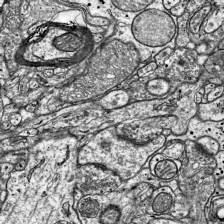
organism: Mouse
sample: Visual Cortex